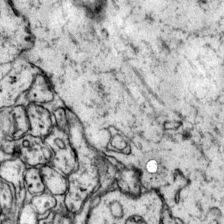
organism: Mouse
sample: Primary visual cortex